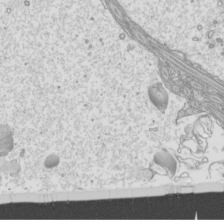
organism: Mouse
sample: Cilia; mouse epididymis